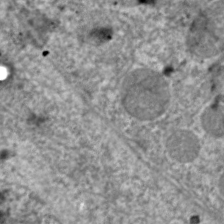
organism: C. elegans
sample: Pharynx